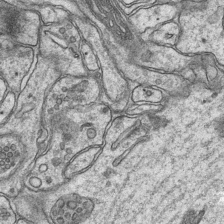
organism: Mouse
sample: CA1 Hippocampus